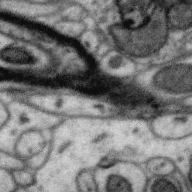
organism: Zebra finch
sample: Brain